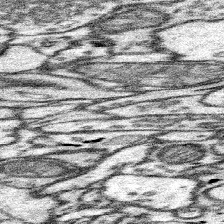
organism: Mouse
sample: Somatosensory cortex neuropil